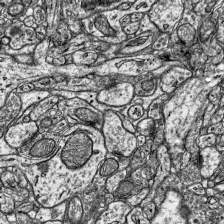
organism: Mouse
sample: Visual Cortex